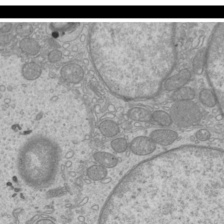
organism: Mouse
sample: Cilia; mouse epididymis